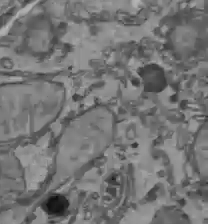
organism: C57BL Mouse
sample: Liver